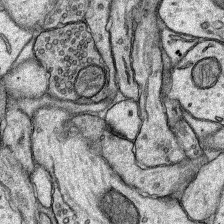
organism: Rat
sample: Hippocampus